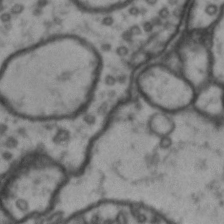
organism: Drosophila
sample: Brain